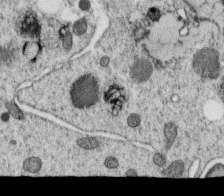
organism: C. elegans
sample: C. elegans oocyte; sperm cells